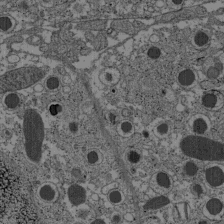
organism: C57BL Mouse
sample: Pancreatic islet